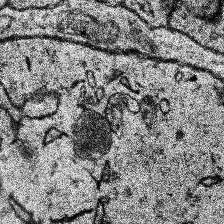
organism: Human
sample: Temporal Lobe